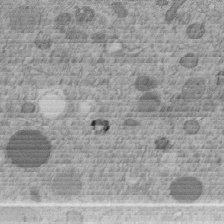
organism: C. elegans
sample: C. elegans embryo early stage